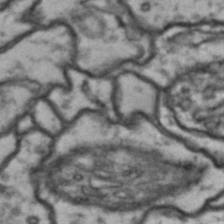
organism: Drosophila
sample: Brain